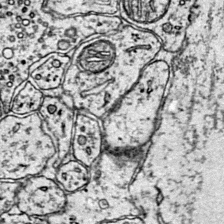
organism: Mouse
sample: Primary visual cortex